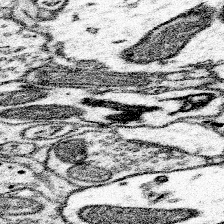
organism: Mouse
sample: Somatosensory cortex neuropil